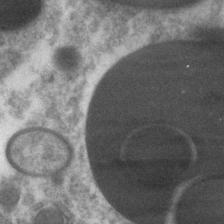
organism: Zebrafish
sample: Zebrafish embryo